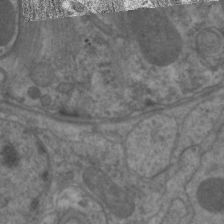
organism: C. elegans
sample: Pharynx